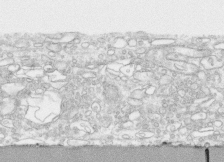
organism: Human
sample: CRL-1474